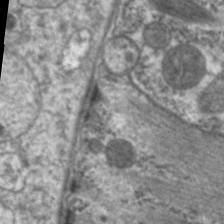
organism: C. elegans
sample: Pharynx